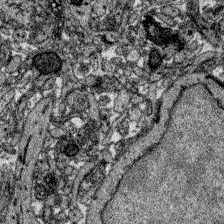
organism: Zebrafish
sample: Larval olfactory bulb